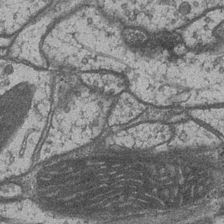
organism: Drosophila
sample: Optic medulla